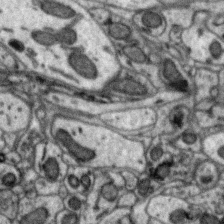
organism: Zebra finch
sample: Brain